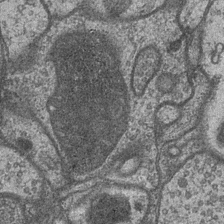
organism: Drosophila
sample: Optic medulla